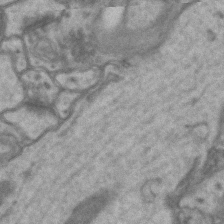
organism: Mouse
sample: CA1 Hippocampus